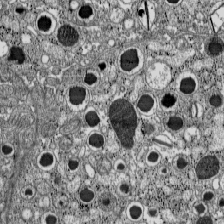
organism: C57BL Mouse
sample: Pancreatic islet